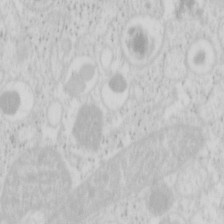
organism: Mouse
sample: Pancreas